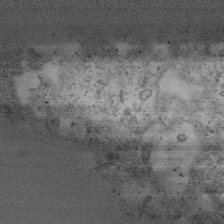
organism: Human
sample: Activated Jurkat CD4+ T cells